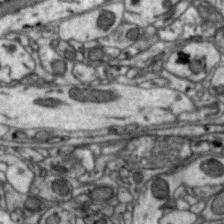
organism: Zebra finch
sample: Brain